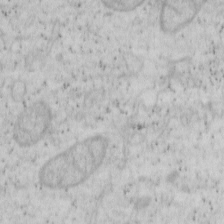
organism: Human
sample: HeLa cells